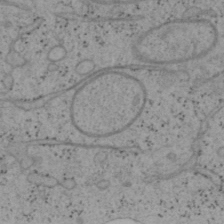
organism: Human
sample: HeLa cells